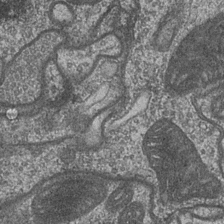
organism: Drosophila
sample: Optic medulla